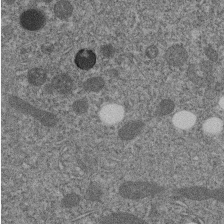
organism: C. elegans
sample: C. elegans embryo early stage